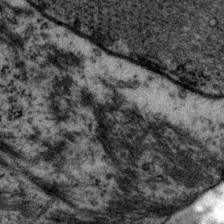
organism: P. pacificus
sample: Pharynx